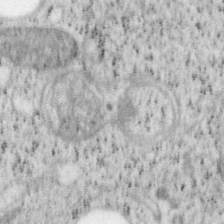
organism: Mouse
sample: OT-I killer T cells with ID8 ovarian cancer cells